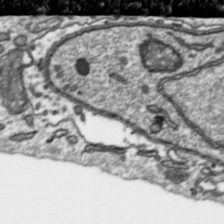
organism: Toxoplasma gondii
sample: Parasites in a vacuole inside a host cell